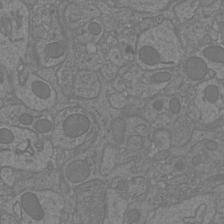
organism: Mouse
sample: Cortical neurons